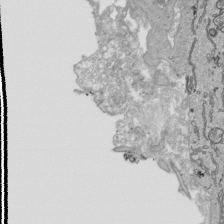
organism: Human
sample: Mitochondria in HCT116 cells